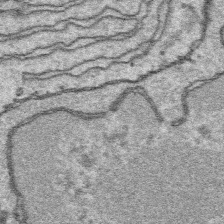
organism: Platynereis dumerilii